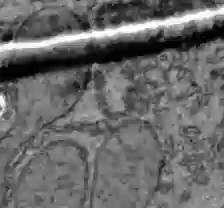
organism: C57BL Mouse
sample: Liver